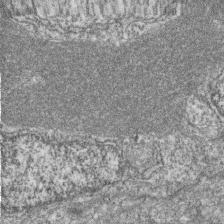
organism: Zebrafish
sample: Cilia; retinal pigment epithelium